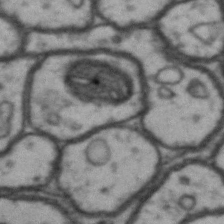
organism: Drosophila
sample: Brain